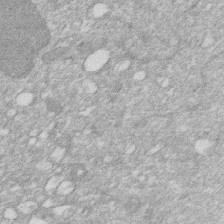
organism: Human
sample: HIV infected U937 cells